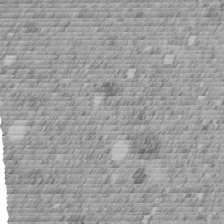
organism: C. elegans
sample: C. elegans embryo early stage